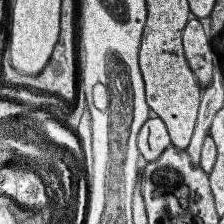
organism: Human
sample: Temporal Lobe